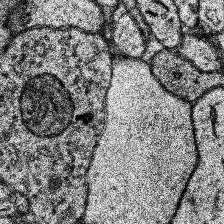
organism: Human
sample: Temporal Lobe